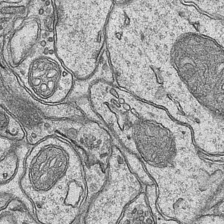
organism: Mouse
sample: CA1 Hippocampus